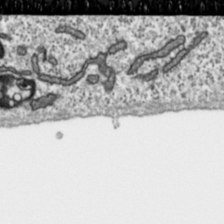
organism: Toxoplasma gondii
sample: Parasites in a vacuole inside a host cell